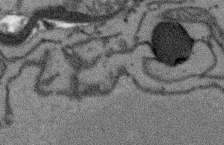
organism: Arabidopsis thaliana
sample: Root tip